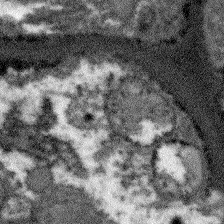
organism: Arabidopsis thaliana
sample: Root tip